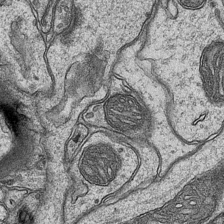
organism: Mouse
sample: CA1 Hippocampus